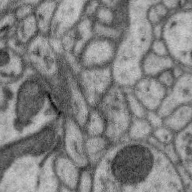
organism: Zebra finch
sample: Brain